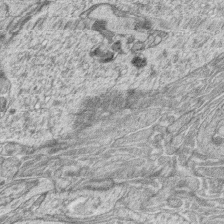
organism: Zebrafish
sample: synaptic ribbons in rod cells and cone cells